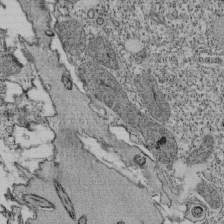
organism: Tetrahymena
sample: Cilia in tetrahymena